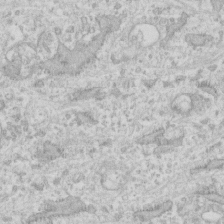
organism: Human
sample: Fibroblast cells